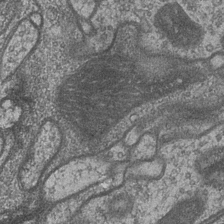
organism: Drosophila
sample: Optic medulla